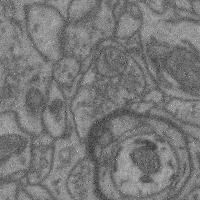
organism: Mouse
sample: Cerebral cortex